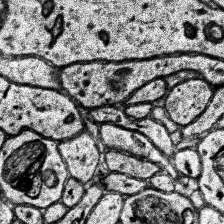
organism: Human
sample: Temporal Lobe